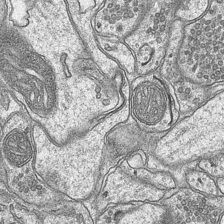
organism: Mouse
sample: CA1 Hippocampus